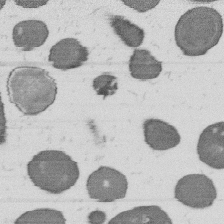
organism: B. subtilis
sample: Bacterial spore